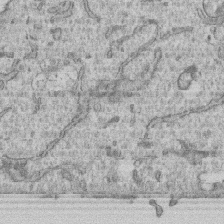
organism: Human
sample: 1205lu cells